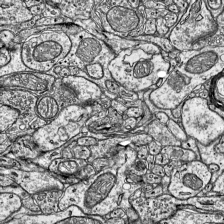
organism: Mouse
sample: Visual Cortex